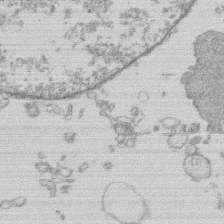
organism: Human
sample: Macrophage cells